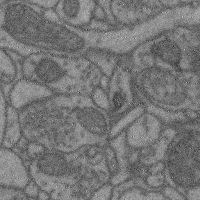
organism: Mouse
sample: Cerebral cortex